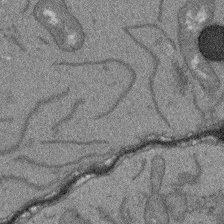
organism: Arabidopsis thaliana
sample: Root tip